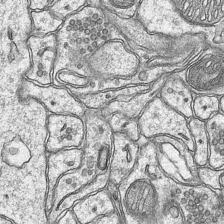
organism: Mouse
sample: CA1 Hippocampus